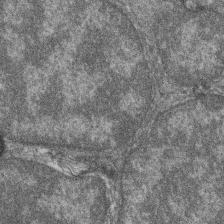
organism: Zebrafish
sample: Cilia; retinal pigment epithelium